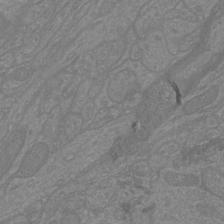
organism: Mouse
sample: Cortical neurons